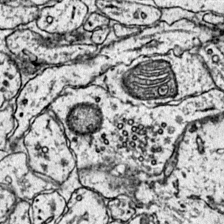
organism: Mouse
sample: Primary visual cortex